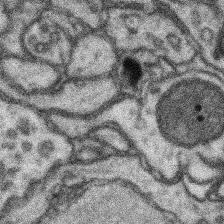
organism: Mouse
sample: Somatosensory cortex neuropil